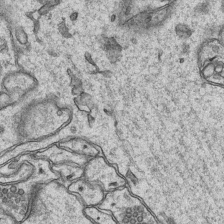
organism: Mouse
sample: CA1 Hippocampus